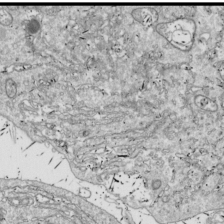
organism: Drosophila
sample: Cell division; meiosis; drosophila spermatocytes